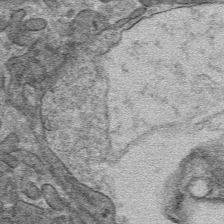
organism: Mouse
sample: Mouse hepatocytes